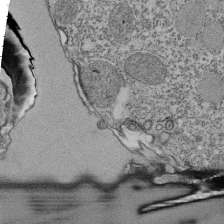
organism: Tetrahymena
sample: Cilia in tetrahymena